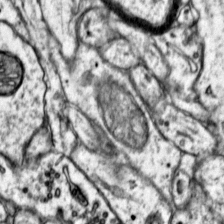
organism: Mouse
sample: Primary visual cortex